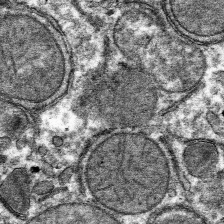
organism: Mouse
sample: Mouse hepatocytes